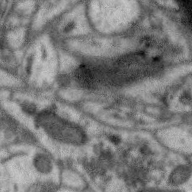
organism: Zebra finch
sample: Brain